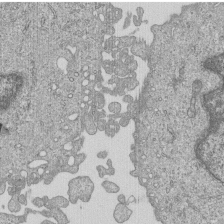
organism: Human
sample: MDA-MB-231 cells